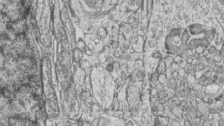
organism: Zebrafish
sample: synaptic ribbons in rod cells and cone cells